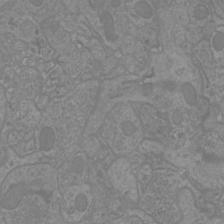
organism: Mouse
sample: Cortical neurons